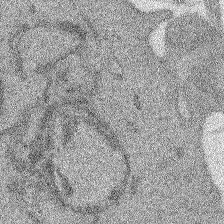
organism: Human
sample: HeLa cells